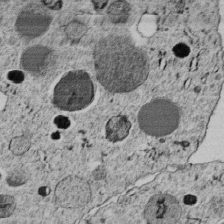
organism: C. elegans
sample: C. elegans embryo early stage